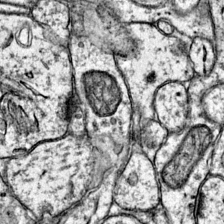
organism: Mouse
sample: Primary visual cortex